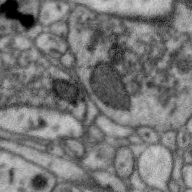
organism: Zebra finch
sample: Brain